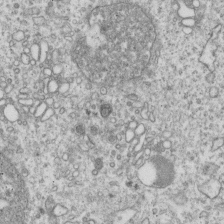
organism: Human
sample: MDA-MB-231 cells